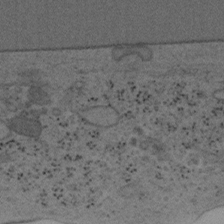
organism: Human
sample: HeLa cells